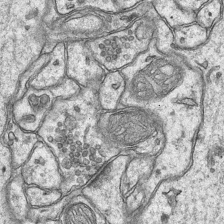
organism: Mouse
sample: CA1 Hippocampus